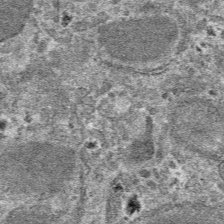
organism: Mouse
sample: Mouse hepatocytes